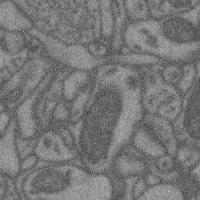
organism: Mouse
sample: Cerebral cortex